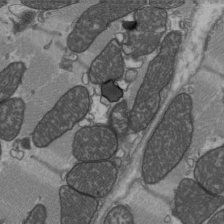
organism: C57BL Mouse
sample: Heart